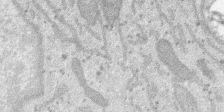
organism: Human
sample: Lung epithelial cells infected with SARS-CoV-2